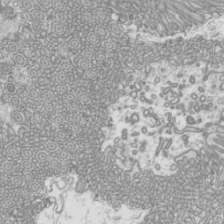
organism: Mouse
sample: Cilia; mouse epididymis